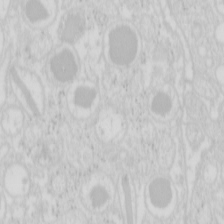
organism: Mouse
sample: Pancreas